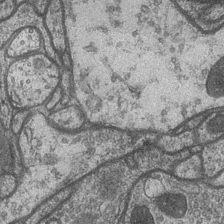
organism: Drosophila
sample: Optic medulla